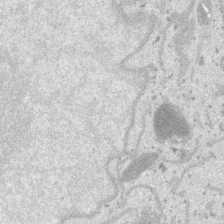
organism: Human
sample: Lung epithelial cells infected with SARS-CoV-2